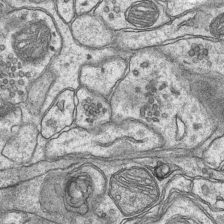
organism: Mouse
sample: CA1 Hippocampus